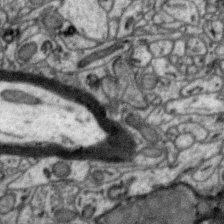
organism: Zebra finch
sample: Brain